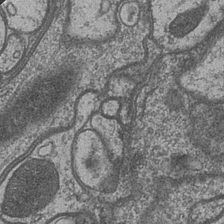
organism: Drosophila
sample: Optic medulla